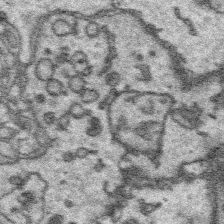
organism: Platynereis dumerilii